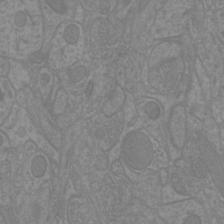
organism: Mouse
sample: Cortical neurons